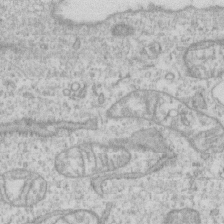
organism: Human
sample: CRL-1474